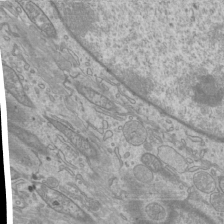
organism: Mouse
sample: Cilia; mouse epididymis